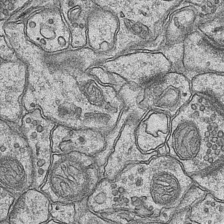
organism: Mouse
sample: CA1 Hippocampus